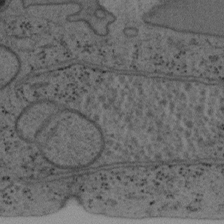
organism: Human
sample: HeLa cells